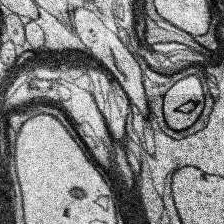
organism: Human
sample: Temporal Lobe